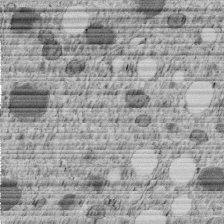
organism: C. elegans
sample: C. elegans embryo early stage